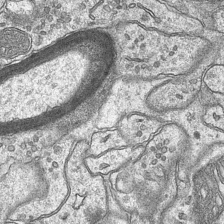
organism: Mouse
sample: CA1 Hippocampus